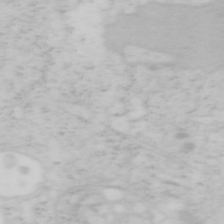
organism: Mouse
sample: OT-I killer T cells with ID8 ovarian cancer cells